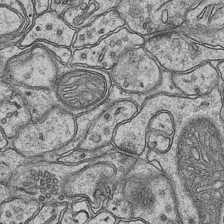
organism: Mouse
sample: CA1 Hippocampus